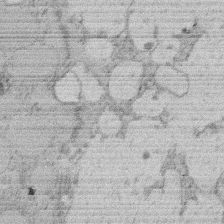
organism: Rat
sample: Salivary granule